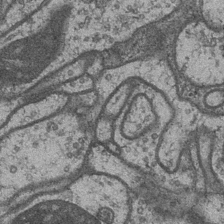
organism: Drosophila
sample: Optic medulla